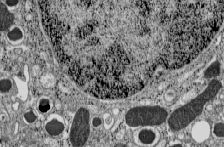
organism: C57BL Mouse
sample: Pancreatic islet